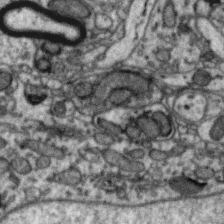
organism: Zebra finch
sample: Brain